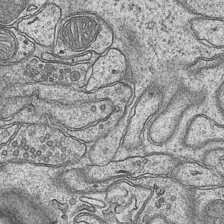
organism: Mouse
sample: CA1 Hippocampus